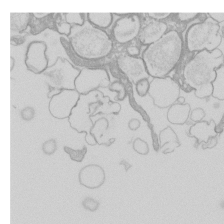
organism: Xenopus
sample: Cilia; centrioles in frog embryo cells